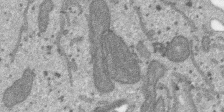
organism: Human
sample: Lung epithelial cells infected with SARS-CoV-2